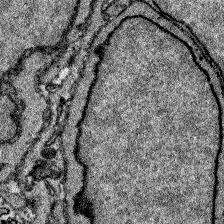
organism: Zebrafish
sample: Larval olfactory bulb